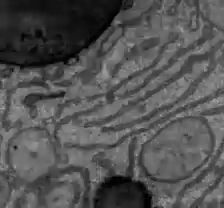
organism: C57BL Mouse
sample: Liver